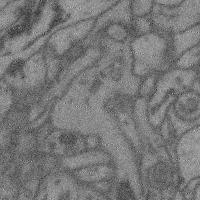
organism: Mouse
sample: Cerebral cortex